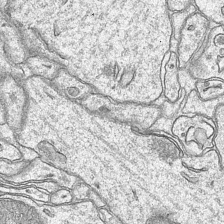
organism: Mouse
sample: CA1 Hippocampus